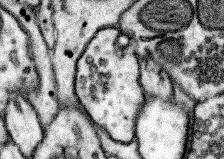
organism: Mouse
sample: Somatosensory cortex neuropil